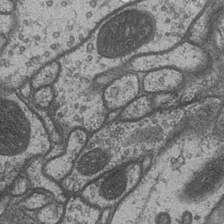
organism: Drosophila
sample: Optic medulla